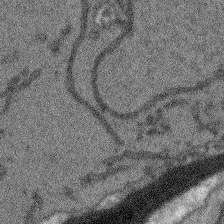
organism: Arabidopsis thaliana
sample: Root tip